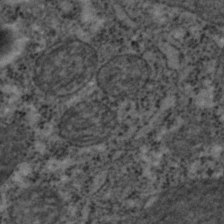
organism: C. elegans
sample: C. elegans embryo